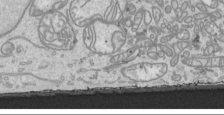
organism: Human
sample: Mitochondria in HCT116 cells